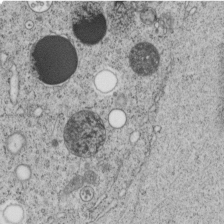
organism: C. elegans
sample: C. elegans embryo early stage